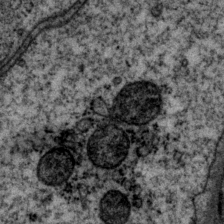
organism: P. pacificus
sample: Pharynx